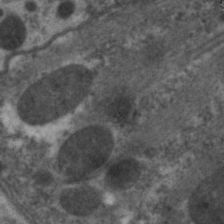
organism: C. elegans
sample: Pharynx